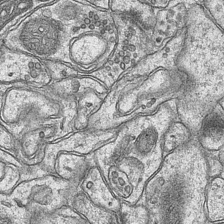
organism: Mouse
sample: CA1 Hippocampus